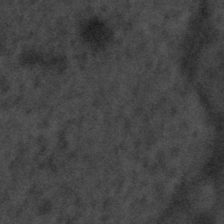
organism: Tuwongella immobilis